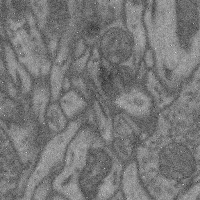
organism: Mouse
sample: Cerebral cortex